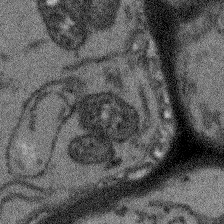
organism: Arabidopsis thaliana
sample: Root tip